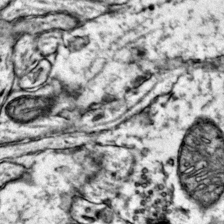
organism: Mouse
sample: Primary visual cortex